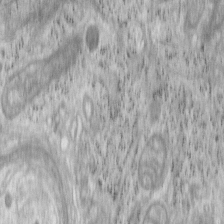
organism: Human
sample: HeLa cells